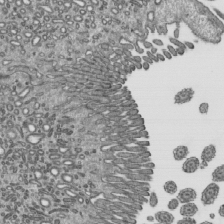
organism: Mouse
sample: Mouse epididymis efferent ductule cilia